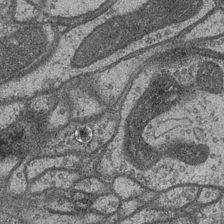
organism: Drosophila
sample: Optic medulla